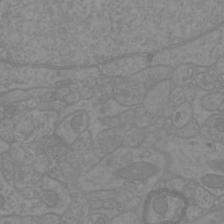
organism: Mouse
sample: Cortical neurons